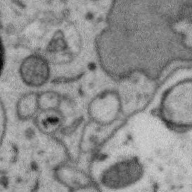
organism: Zebra finch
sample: Brain